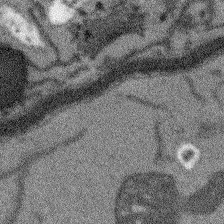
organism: Arabidopsis thaliana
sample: Root tip